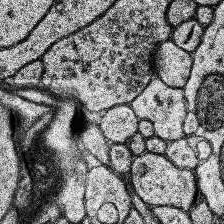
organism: Human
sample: Temporal Lobe